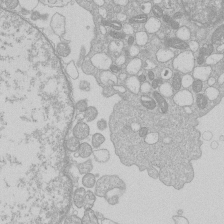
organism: Human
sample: Macrophage cells